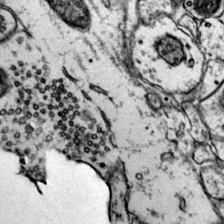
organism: Mouse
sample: Primary visual cortex